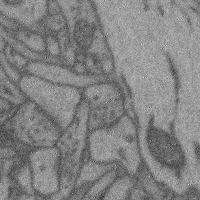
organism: Mouse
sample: Cerebral cortex